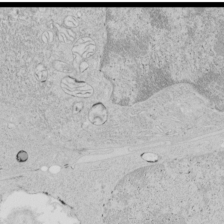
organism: Human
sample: Mitochondria in HCT116 cells